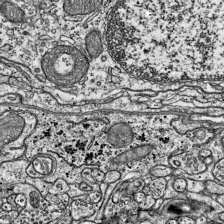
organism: Mouse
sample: Visual Cortex